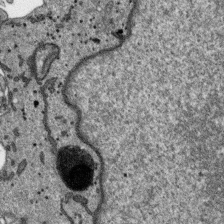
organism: Human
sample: Lung epithelial cells, uninfected (mock) control